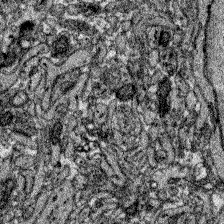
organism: Zebrafish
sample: Larval olfactory bulb